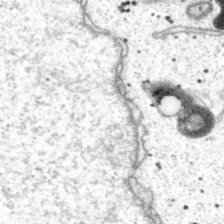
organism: Human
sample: HeLa cells